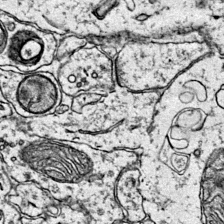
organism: Mouse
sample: Primary visual cortex